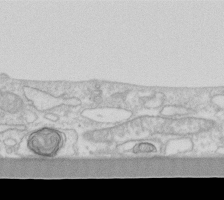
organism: Human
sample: Fibroblast cells